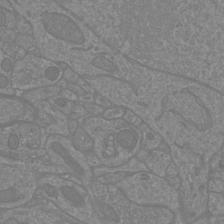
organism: Mouse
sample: Cortical neurons